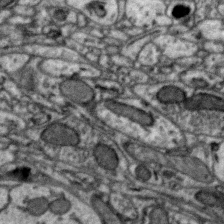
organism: Zebra finch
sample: Brain